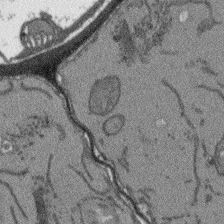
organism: Arabidopsis thaliana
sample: Root tip